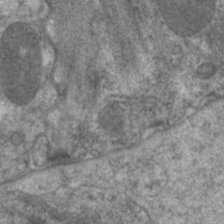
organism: C. elegans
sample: Pharynx